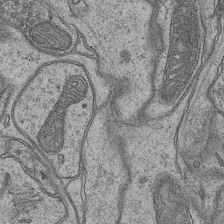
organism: Mouse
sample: CA1 Hippocampus